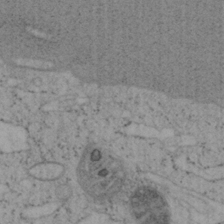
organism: Mouse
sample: OT-I killer T cells with ID8 ovarian cancer cells